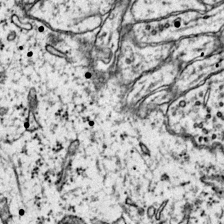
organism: Mouse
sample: Primary visual cortex